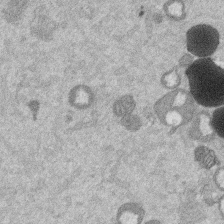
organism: Mouse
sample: Dividing mouse embryo 1 cell stage